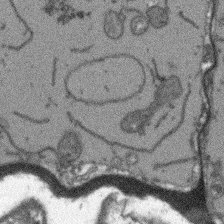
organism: Arabidopsis thaliana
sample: Root tip